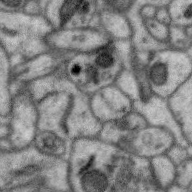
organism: Zebra finch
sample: Brain